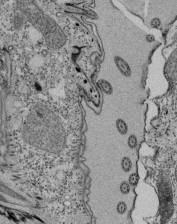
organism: Tetrahymena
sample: Cilia in tetrahymena